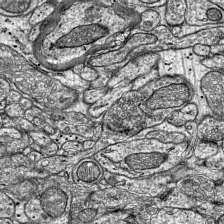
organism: Mouse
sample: Visual Cortex